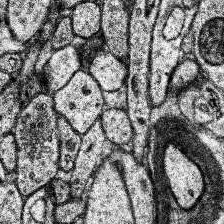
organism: Human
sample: Temporal Lobe